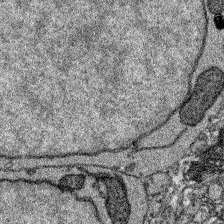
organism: Zebrafish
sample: Larval olfactory bulb